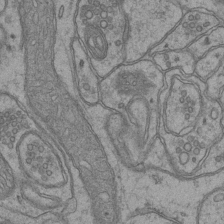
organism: Mouse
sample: CA1 Hippocampus